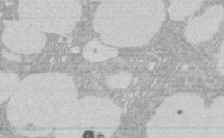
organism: Rat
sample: Salivary granule